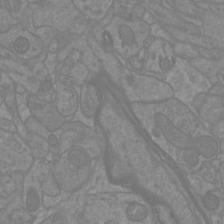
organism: Mouse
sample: Cortical neurons